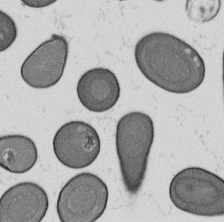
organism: B. subtilis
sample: Bacterial spore